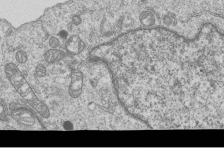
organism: Human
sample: MDA-MB-231 cells